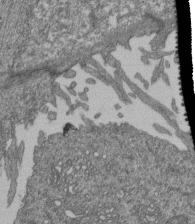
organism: Human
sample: Retinal organoid Rod and Cone cells